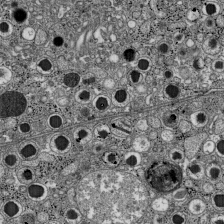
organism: C57BL Mouse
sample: Pancreatic islet